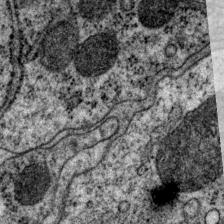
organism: P. pacificus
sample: Pharynx